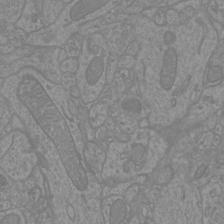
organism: Mouse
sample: Cortical neurons